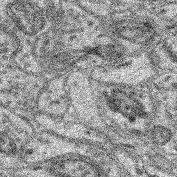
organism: Mouse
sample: Retina